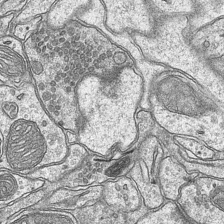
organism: Mouse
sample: CA1 Hippocampus